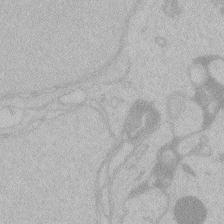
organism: Zebrafish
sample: Macrophage infected with Toxoplasma gondii